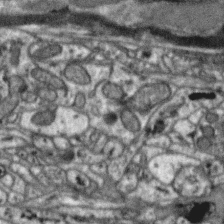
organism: Zebra finch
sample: Brain